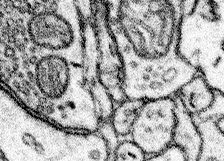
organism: Mouse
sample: Somatosensory cortex neuropil